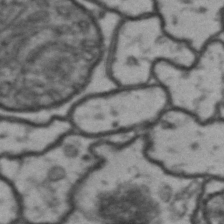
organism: Drosophila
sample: Brain